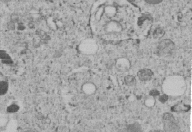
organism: C. elegans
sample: C. elegans embryo early stage